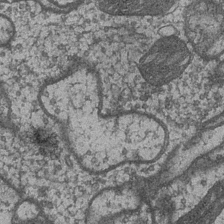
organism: Drosophila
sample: Optic medulla